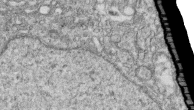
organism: Human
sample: HeLa cell HIV synapse